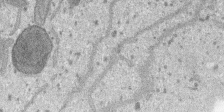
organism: Human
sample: Lung epithelial cells infected with SARS-CoV-2